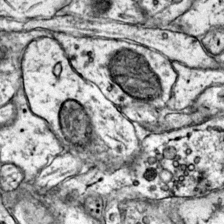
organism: Mouse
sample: Primary visual cortex